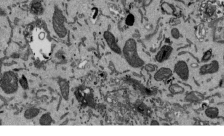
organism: Mouse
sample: ED-1 cell nuclei; centrioles